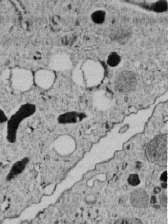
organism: C. elegans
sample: C. elegans embryo early stage